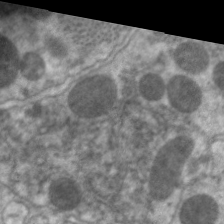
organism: C. elegans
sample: Pharynx